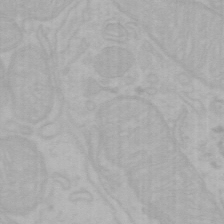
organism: Mouse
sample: Choroid plexus